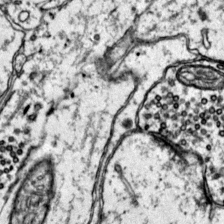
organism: Mouse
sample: Primary visual cortex